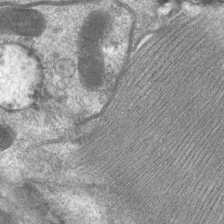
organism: C. elegans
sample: Pharynx